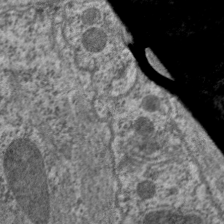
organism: C. elegans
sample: Pharynx